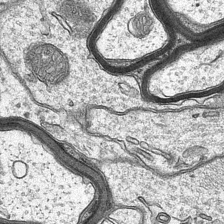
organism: Mouse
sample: CA1 Hippocampus